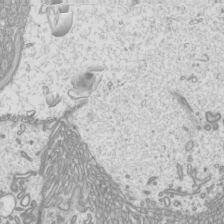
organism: Mouse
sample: Cilia; mouse epididymis